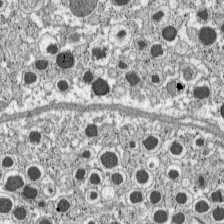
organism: C57BL Mouse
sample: Pancreatic islet